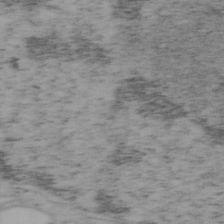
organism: Mouse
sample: OT-I killer T cells with ID8 ovarian cancer cells